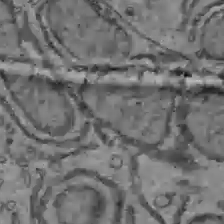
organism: C57BL Mouse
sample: Liver